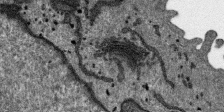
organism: Human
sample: Lung epithelial cells, uninfected (mock) control